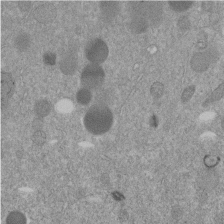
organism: C. elegans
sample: C. elegans embryo early stage